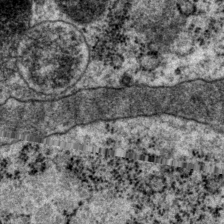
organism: P. pacificus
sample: Pharynx